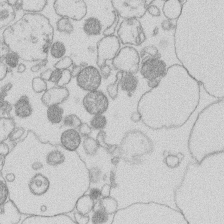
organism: Human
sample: Macrophage cells